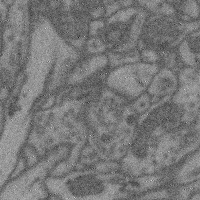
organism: Mouse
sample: Cerebral cortex